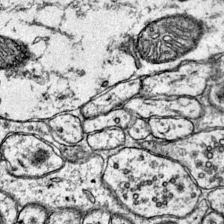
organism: Mouse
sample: Primary visual cortex